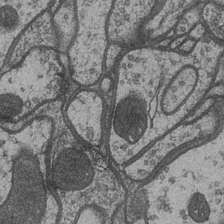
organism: Drosophila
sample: Optic medulla